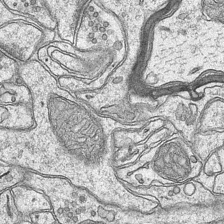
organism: Mouse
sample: CA1 Hippocampus